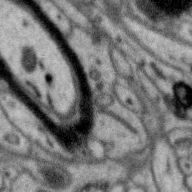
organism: Zebra finch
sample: Brain